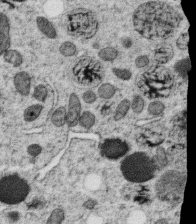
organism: C. elegans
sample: C. elegans oocyte; sperm cells